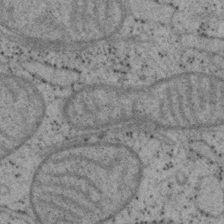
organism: Human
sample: HeLa cells